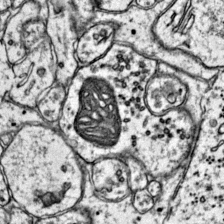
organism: Mouse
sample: Primary visual cortex